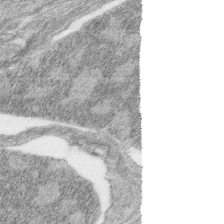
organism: Zebrafish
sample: synaptic ribbons in rod cells and cone cells